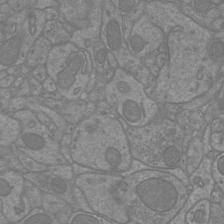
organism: Mouse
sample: Cortical neurons